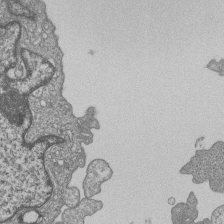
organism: Human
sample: MDA-MB-231 cells